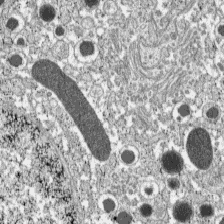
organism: C57BL Mouse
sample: Pancreatic islet